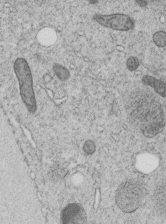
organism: C. elegans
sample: C. elegans embryo early stage